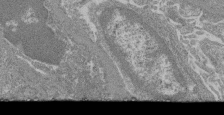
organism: Mouse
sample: Glomerulus